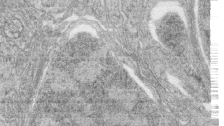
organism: Zebrafish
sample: synaptic ribbons in rod cells and cone cells